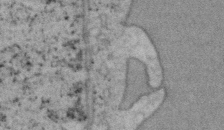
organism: Human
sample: HeLa cells